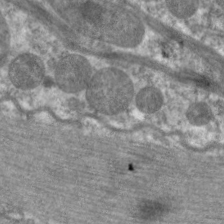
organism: C. elegans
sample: Pharynx